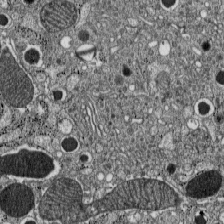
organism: C57BL Mouse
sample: Pancreatic islet